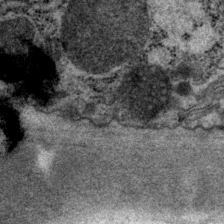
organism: P. pacificus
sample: Pharynx